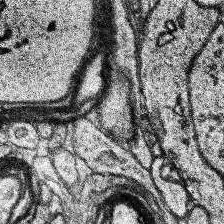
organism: Human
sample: Temporal Lobe